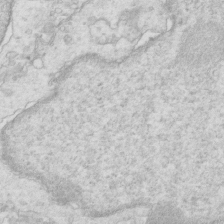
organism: Mouse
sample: Multiciliated cells